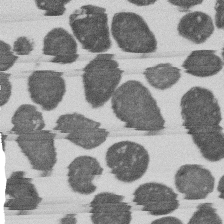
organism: E. coli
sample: Bacterial nucleoid